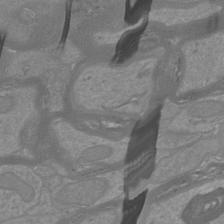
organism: Mouse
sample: Cortical neurons